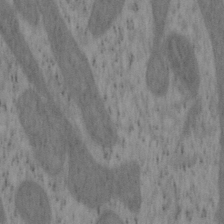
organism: Mouse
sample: OT-I killer T cells with ID8 ovarian cancer cells